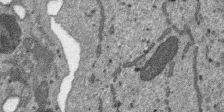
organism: Human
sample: Lung epithelial cells infected with SARS-CoV-2